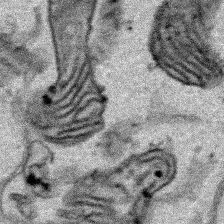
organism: Human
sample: Mitochondria in HCT116 cells